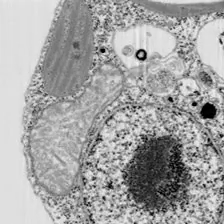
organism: Chlamydomonas reinhardtii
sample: Whole Cell